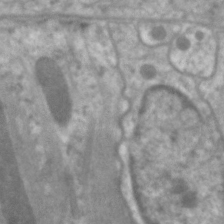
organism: C. elegans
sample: Pharynx